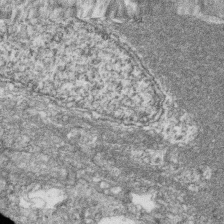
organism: Zebrafish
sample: Cilia; retinal pigment epithelium